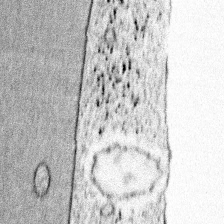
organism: Human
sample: HeLa cells